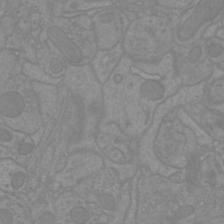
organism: Mouse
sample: Cortical neurons